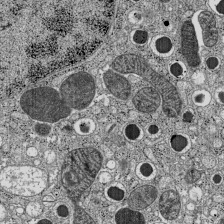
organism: C57BL Mouse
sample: Pancreatic islet